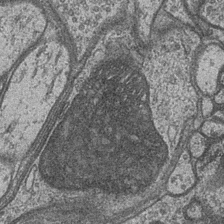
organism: Drosophila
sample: Optic medulla